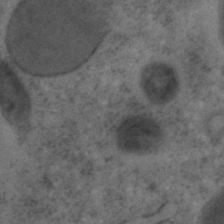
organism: C. elegans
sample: C. elegans embryo